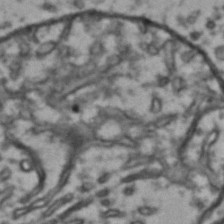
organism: Drosophila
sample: Brain